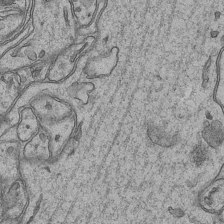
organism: Mouse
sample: CA1 Hippocampus